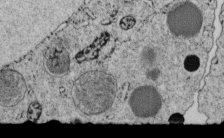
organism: C. elegans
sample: C. elegans embryo early stage